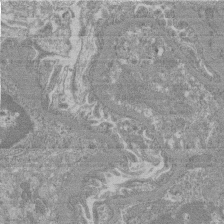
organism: Mouse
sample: Glomerulus